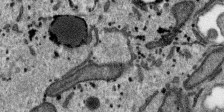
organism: Human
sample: Lung epithelial cells, uninfected (mock) control